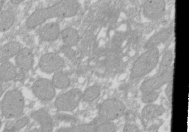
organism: Xenopus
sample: Cilia; centrioles in frog embryo cells